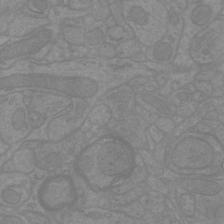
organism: Mouse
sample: Cortical neurons